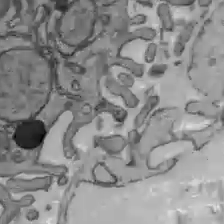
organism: C57BL Mouse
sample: Liver